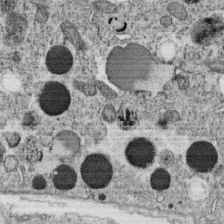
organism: C. elegans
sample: C. elegans oocyte; sperm cells